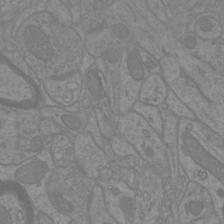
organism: Mouse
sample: Cortical neurons